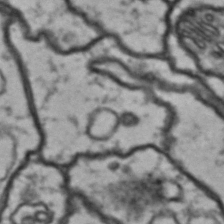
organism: Drosophila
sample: Brain